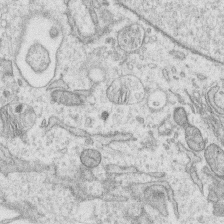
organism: Human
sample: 1205lu cells